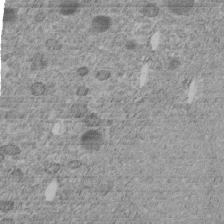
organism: C. elegans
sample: C. elegans embryo early stage